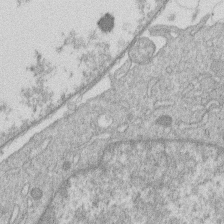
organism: Human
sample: Macrophage cells